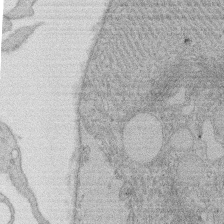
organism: Rat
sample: Salivary granule